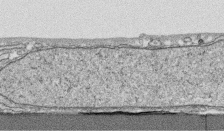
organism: Human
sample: CRL-1474